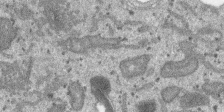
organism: Human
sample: Lung epithelial cells infected with SARS-CoV-2